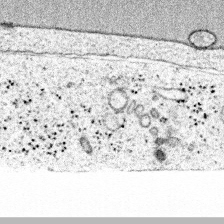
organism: Human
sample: HeLa cells